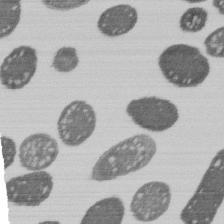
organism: E. coli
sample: Bacterial nucleoid